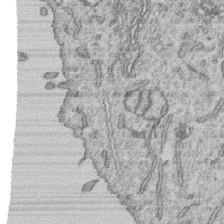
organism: Human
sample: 1205lu cells